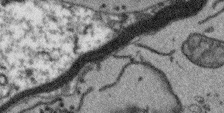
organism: Arabidopsis thaliana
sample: Root tip